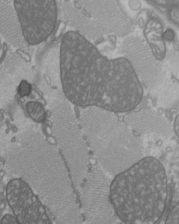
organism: C57BL Mouse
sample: Heart